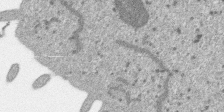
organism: Human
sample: Lung epithelial cells infected with SARS-CoV-2